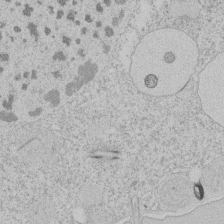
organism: Tetrahymena